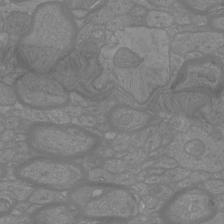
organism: Mouse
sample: Cortical neurons